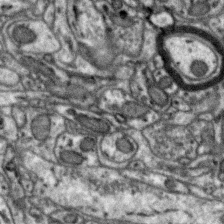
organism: Zebra finch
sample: Brain